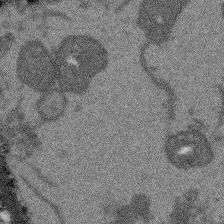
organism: Arabidopsis thaliana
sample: Root tip